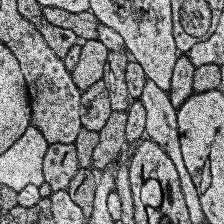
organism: Human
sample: Temporal Lobe